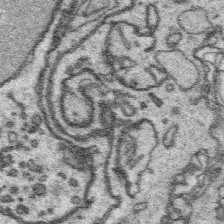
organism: Platynereis dumerilii